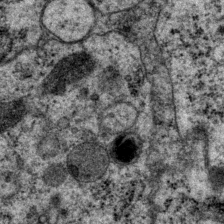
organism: P. pacificus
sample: Pharynx